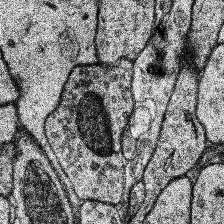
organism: Human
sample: Temporal Lobe